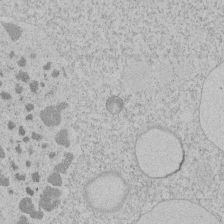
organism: Tetrahymena